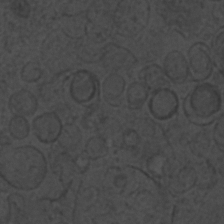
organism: C. elegans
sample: C. elegans embryo